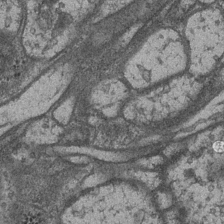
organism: Drosophila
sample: Optic medulla